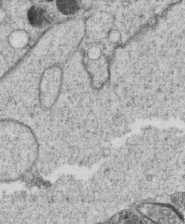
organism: C. elegans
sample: C. elegans oocyte; sperm cells